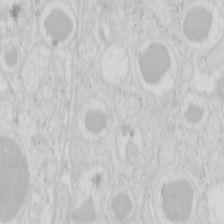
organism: Mouse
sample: Pancreas